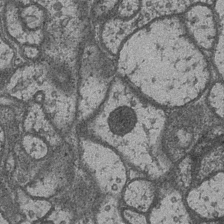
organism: Drosophila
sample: Optic medulla